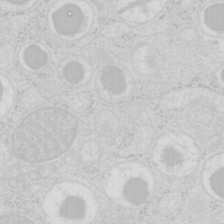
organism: Mouse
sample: Pancreas